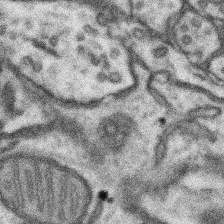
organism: Mouse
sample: Somatosensory cortex neuropil